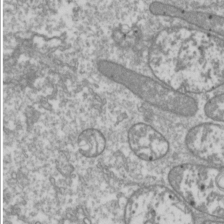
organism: Drosophila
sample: Cell division; meiosis; drosophila spermatocytes